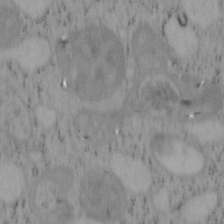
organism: Mouse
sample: OT-I killer T cells with ID8 ovarian cancer cells